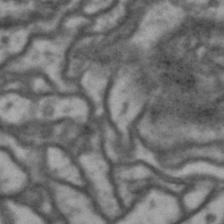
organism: Drosophila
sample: Brain